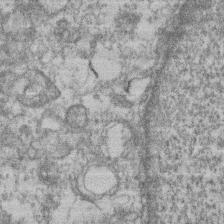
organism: Mouse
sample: T cell stromal cell synapse